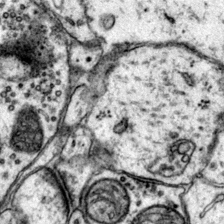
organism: Mouse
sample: Primary visual cortex